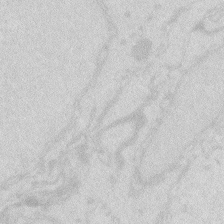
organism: Zebrafish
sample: Macrophage